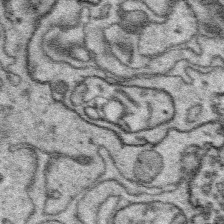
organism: Platynereis dumerilii